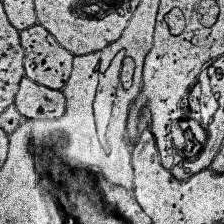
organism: Human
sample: Temporal Lobe